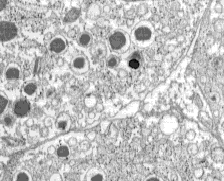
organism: C57BL Mouse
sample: Pancreatic islet